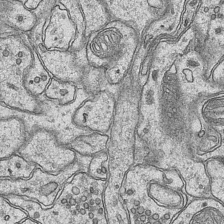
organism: Mouse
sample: CA1 Hippocampus